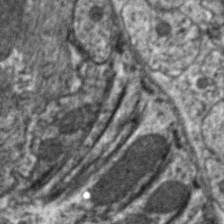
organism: C. elegans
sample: Pharynx